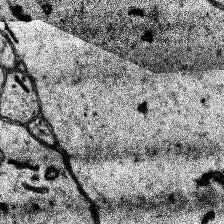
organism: Human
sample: Temporal Lobe